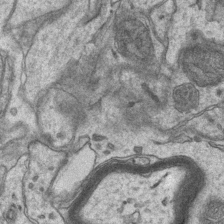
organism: Mouse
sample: CA1 Hippocampus